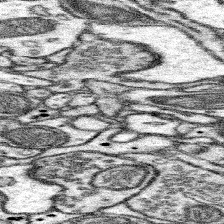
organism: Mouse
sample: Somatosensory cortex neuropil